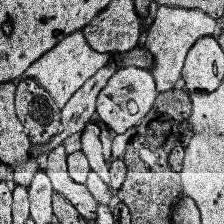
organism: Human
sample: Temporal Lobe